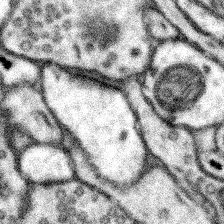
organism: Mouse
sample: Somatosensory cortex neuropil